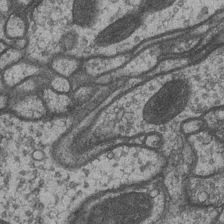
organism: Drosophila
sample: Optic medulla